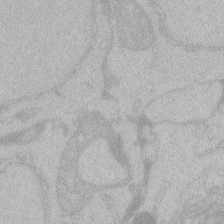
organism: Zebrafish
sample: Macrophage infected with Toxoplasma gondii